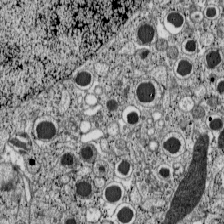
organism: C57BL Mouse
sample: Pancreatic islet